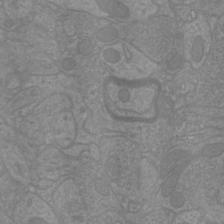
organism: Mouse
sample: Cortical neurons